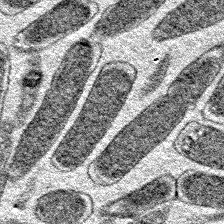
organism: E. coli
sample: E. Coli Bacteria